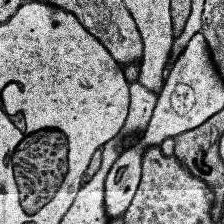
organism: Human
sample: Temporal Lobe